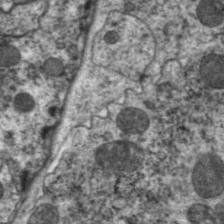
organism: C. elegans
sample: Pharynx